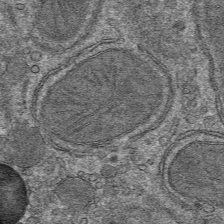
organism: Mouse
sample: Mouse hepatocytes